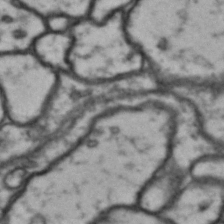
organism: Drosophila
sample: Brain